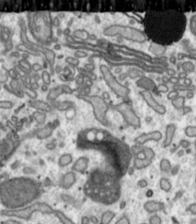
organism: Toxoplasma gondii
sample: Parasites in a vacuole inside a host cell